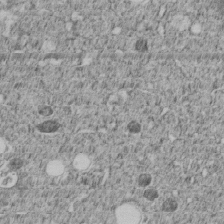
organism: C. elegans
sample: C. elegans embryo early stage